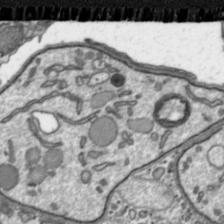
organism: Toxoplasma gondii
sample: Parasites in a vacuole inside a host cell